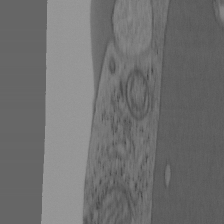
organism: Human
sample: HeLa cells